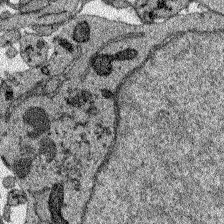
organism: Zebrafish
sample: Larval olfactory bulb